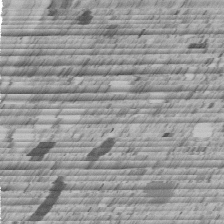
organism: C. elegans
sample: C. elegans embryo early stage